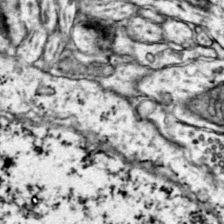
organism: Mouse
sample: Primary visual cortex